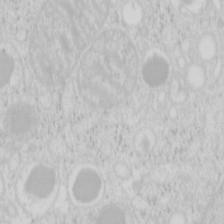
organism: Mouse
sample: Pancreas